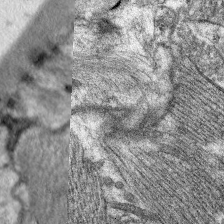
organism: C. elegans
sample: Pharynx